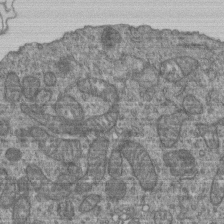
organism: Human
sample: Retinal organoid Rod and Cone cells